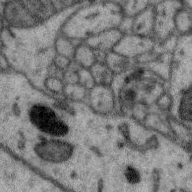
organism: Zebra finch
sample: Brain